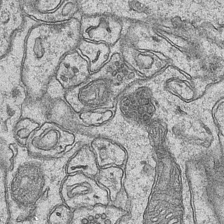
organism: Mouse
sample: CA1 Hippocampus